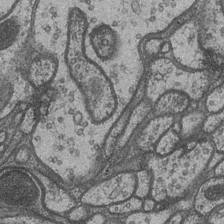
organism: Drosophila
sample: Optic medulla